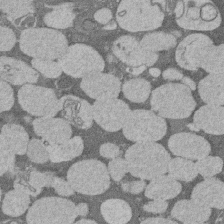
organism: Rat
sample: Salivary granule